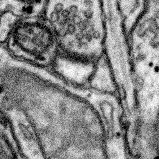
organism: Mouse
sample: Somatosensory cortex neuropil